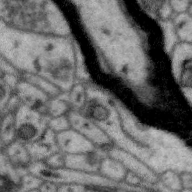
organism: Zebra finch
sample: Brain